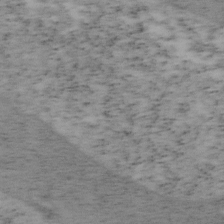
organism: Mouse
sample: OT-I killer T cells with ID8 ovarian cancer cells